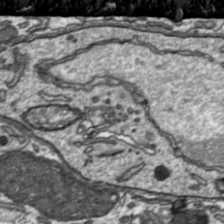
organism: Toxoplasma gondii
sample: Parasites in a vacuole inside a host cell